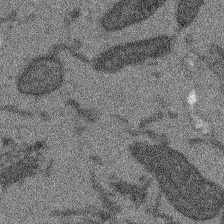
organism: Arabidopsis thaliana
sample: Root tip